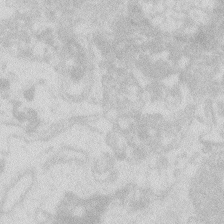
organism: Zebrafish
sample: Macrophage